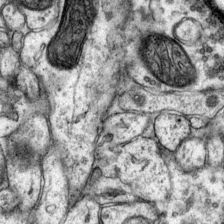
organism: Mouse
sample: Primary visual cortex